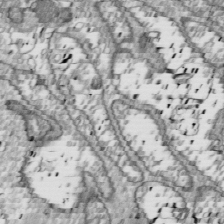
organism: Drosophila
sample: Cell division; meiosis; drosophila spermatocytes